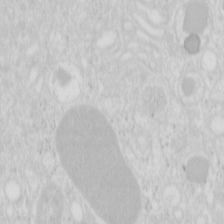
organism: Mouse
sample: Pancreas